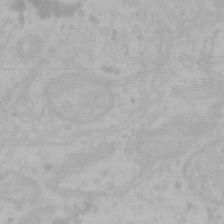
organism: Mouse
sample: Choroid plexus